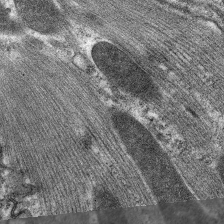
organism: C. elegans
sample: Pharynx